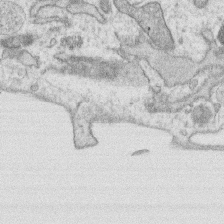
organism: Human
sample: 1205lu cells